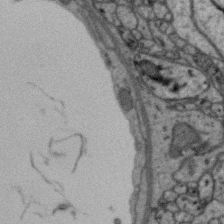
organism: Zebra finch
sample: Brain